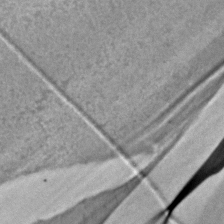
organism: C. elegans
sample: C. elegans embryo